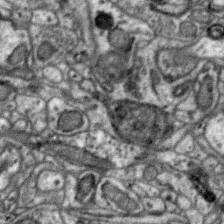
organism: Zebra finch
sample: Brain